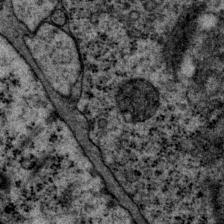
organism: P. pacificus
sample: Pharynx